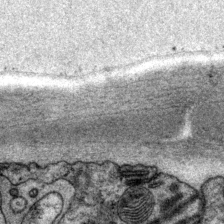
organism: P. pacificus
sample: Pharynx